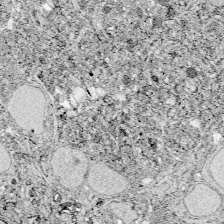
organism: Zebrafish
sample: Whole-Brain